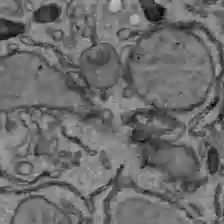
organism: C57BL Mouse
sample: Liver